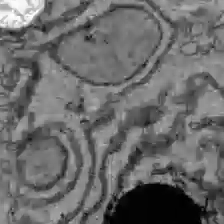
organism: C57BL Mouse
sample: Liver